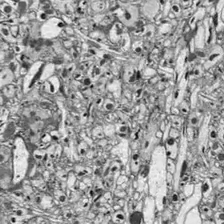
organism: Drosophila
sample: Optic lobe